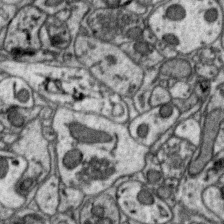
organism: Zebra finch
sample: Brain